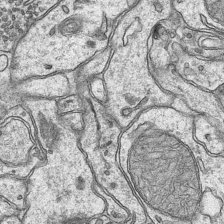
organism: Mouse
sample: CA1 Hippocampus